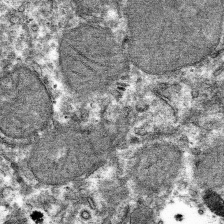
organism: Mouse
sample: Mouse hepatocytes